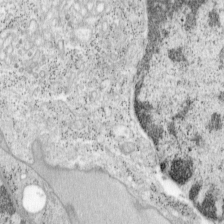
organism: Mouse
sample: OT-I killer T cells with ID8 ovarian cancer cells